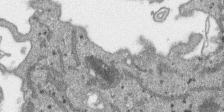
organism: Human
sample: Lung epithelial cells infected with SARS-CoV-2